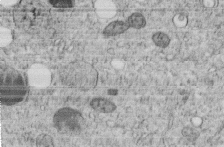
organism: C. elegans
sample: C. elegans embryo early stage